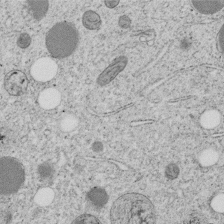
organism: C. elegans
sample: C. elegans embryo early stage